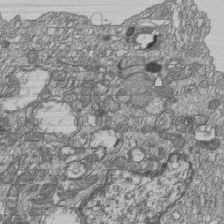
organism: Human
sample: MDA-MB-231 cells